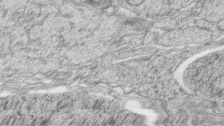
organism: Zebrafish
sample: synaptic ribbons in rod cells and cone cells